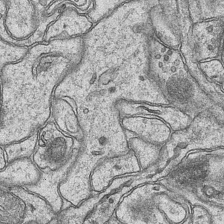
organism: Mouse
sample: CA1 Hippocampus